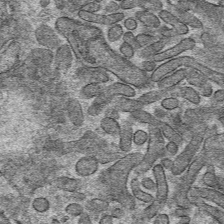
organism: Mouse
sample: Mouse hepatocytes